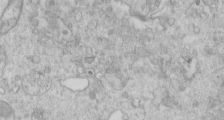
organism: Human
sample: Centriole in RPE cells